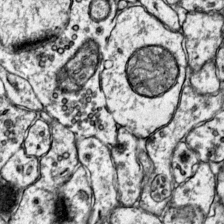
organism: Mouse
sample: Primary visual cortex